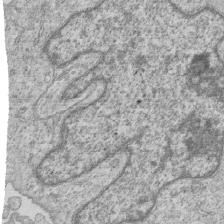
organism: Human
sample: MDA-MB-231 cells